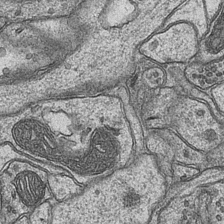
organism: Mouse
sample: CA1 Hippocampus